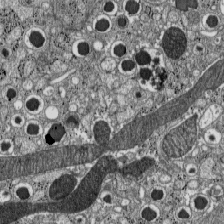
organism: C57BL Mouse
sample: Pancreatic islet